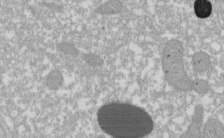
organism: Xenopus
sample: Cilia; centrioles in frog embryo cells